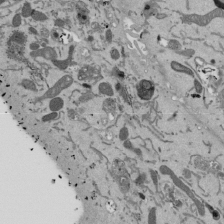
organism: Mouse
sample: ED-1 cell nuclei; centrioles